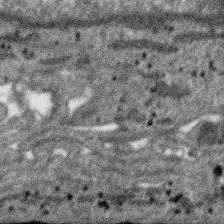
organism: Human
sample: Lung epithelial cells infected with SARS-CoV-2